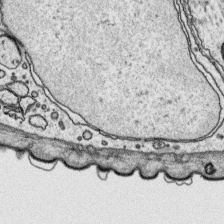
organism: Platynereis dumerilii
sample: Parapodia